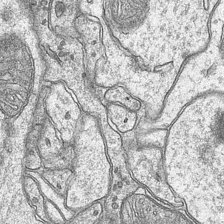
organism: Mouse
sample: CA1 Hippocampus